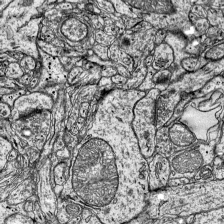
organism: Mouse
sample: Visual Cortex